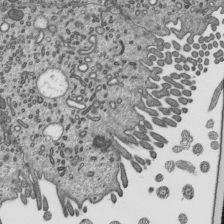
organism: Mouse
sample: Mouse epididymis efferent ductule cilia